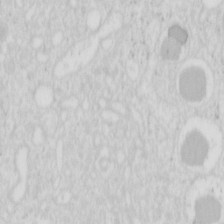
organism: Mouse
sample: Pancreas